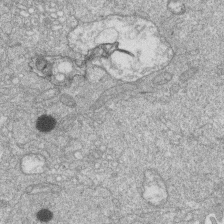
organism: Human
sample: HeLa cell HIV synapse